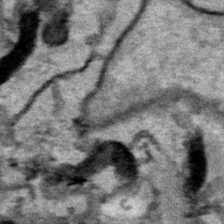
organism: Human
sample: Mitochondria in HCT116 cells